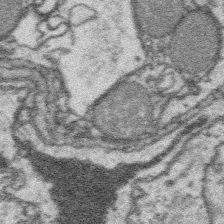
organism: Platynereis dumerilii